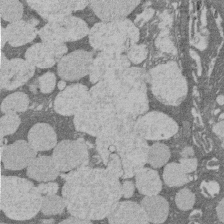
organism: Rat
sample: Salivary granule